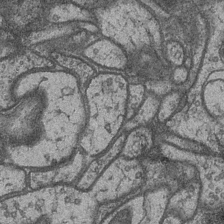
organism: Drosophila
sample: Optic medulla